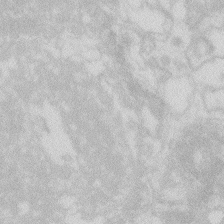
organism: Zebrafish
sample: Macrophage